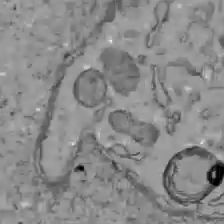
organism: C57BL Mouse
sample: Liver